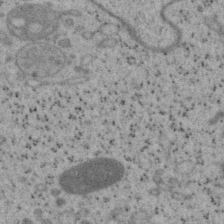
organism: Human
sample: HeLa cells